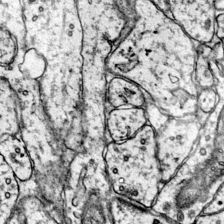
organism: Mouse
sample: Primary visual cortex